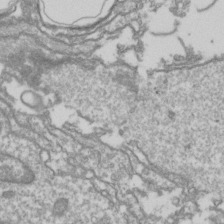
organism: Drosophila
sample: Cell division; meiosis; drosophila spermatocytes